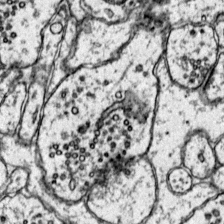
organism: Mouse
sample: Primary visual cortex